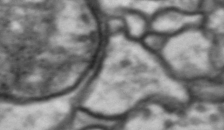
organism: Drosophila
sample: Brain